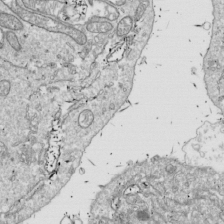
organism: Drosophila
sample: Cell division; meiosis; drosophila spermatocytes